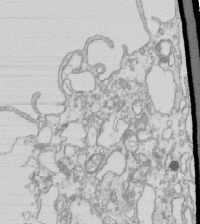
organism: Mouse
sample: Macrophages